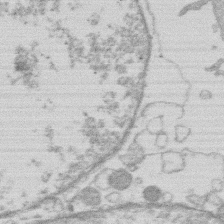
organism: Human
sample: Macrophage cells